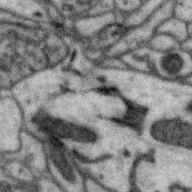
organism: Zebra finch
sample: Brain